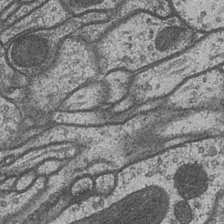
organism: Drosophila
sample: Optic medulla